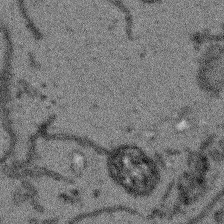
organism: Arabidopsis thaliana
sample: Root tip